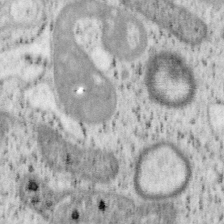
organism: Mouse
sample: OT-I killer T cells with ID8 ovarian cancer cells